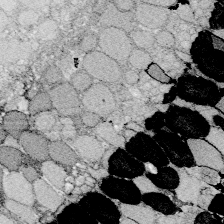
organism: Zebrafish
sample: Whole-Brain